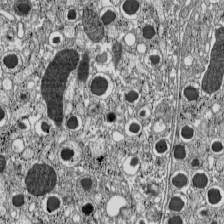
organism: C57BL Mouse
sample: Pancreatic islet